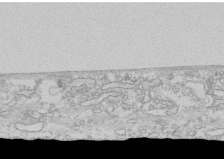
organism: Human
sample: CRL-1474